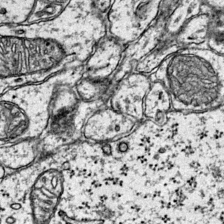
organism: Mouse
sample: Primary visual cortex